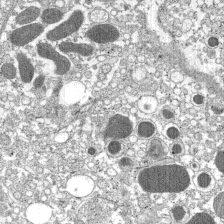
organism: C57BL Mouse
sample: Pancreatic islet